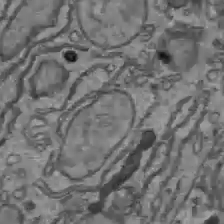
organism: C57BL Mouse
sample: Liver